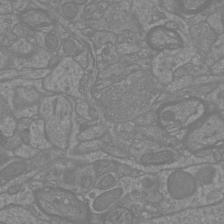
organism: Mouse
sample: Cortical neurons